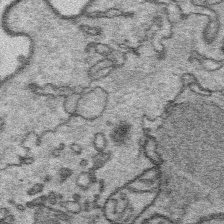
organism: Platynereis dumerilii